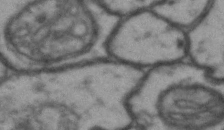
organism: Drosophila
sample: Brain